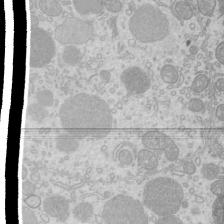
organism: Mouse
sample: Cilia; mouse epididymis